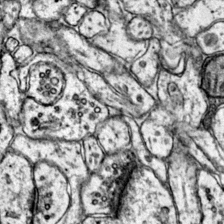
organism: Mouse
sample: Primary visual cortex